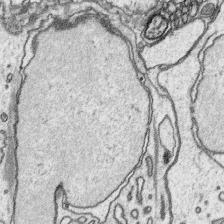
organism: Platynereis dumerilii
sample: Parapodia